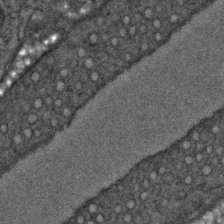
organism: C. elegans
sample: C. elegans embryo